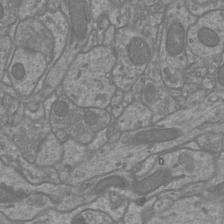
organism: Mouse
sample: Cortical neurons